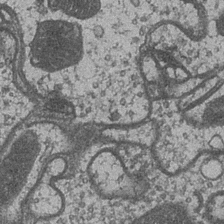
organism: Drosophila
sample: Optic medulla